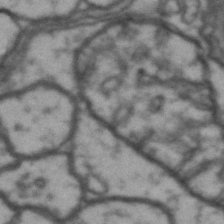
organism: Drosophila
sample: Brain